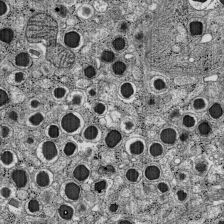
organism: C57BL Mouse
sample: Pancreatic islet